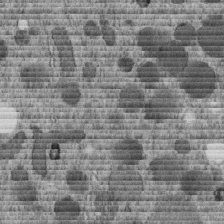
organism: C. elegans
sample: C. elegans embryo early stage